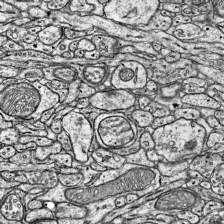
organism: Mouse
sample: Visual Cortex